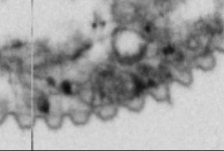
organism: Cable bacterium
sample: Filament